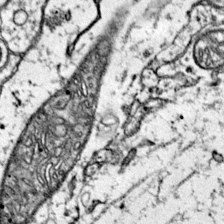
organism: Mouse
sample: Primary visual cortex